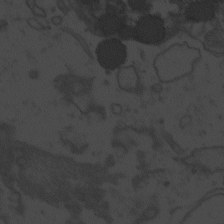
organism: Zebrafish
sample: Macrophage infected with Toxoplasma gondii